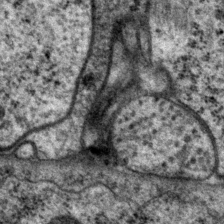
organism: P. pacificus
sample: Pharynx